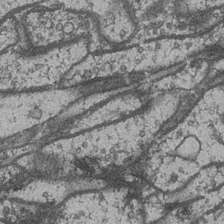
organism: Drosophila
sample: Optic medulla